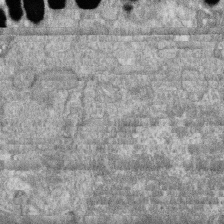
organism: Zebrafish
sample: Cilia; retinal pigment epithelium